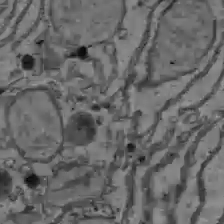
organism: C57BL Mouse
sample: Liver